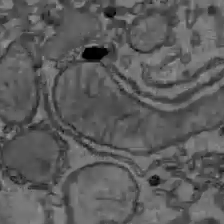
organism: C57BL Mouse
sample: Liver